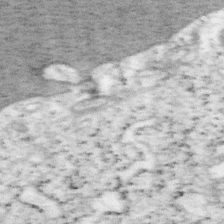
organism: Mouse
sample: OT-I killer T cells with ID8 ovarian cancer cells